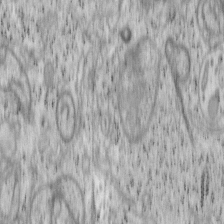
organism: Human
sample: HeLa cells